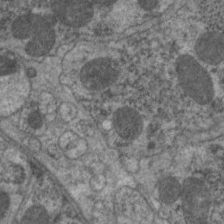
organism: C. elegans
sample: Pharynx